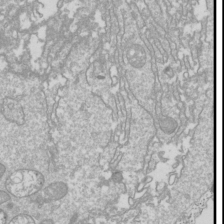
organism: Drosophila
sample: Cell division; meiosis; drosophila spermatocytes